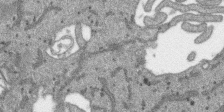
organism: Human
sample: Lung epithelial cells infected with SARS-CoV-2